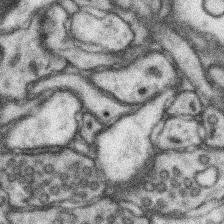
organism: Mouse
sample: Somatosensory cortex neuropil